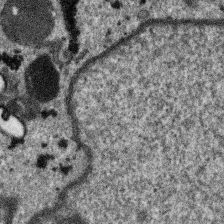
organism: Human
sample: Lung epithelial cells infected with SARS-CoV-2